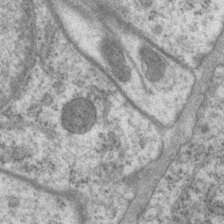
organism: P. pacificus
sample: Pharynx